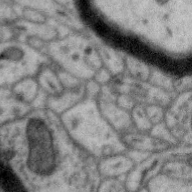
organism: Zebra finch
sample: Brain